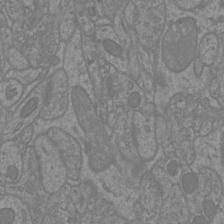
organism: Mouse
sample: Cortical neurons